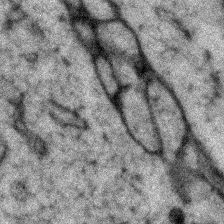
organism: Zebrafish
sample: Zebrafish embryo